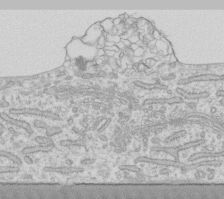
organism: Human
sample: Fibroblast cells